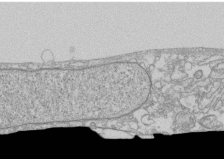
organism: Human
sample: CRL-1474